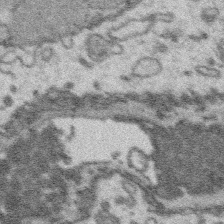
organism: Platynereis dumerilii